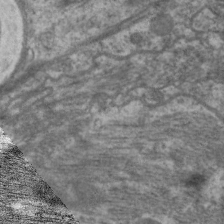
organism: C. elegans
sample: Pharynx